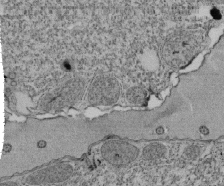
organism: Tetrahymena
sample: Cilia in tetrahymena